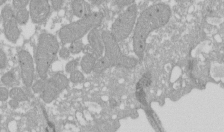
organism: Xenopus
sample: Cilia; centrioles in frog embryo cells